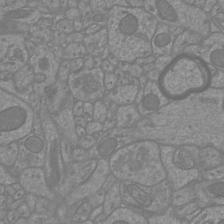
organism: Mouse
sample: Cortical neurons